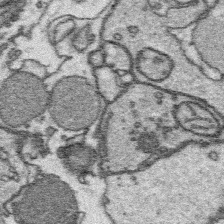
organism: Platynereis dumerilii